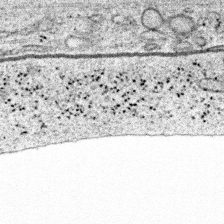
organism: Human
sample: HeLa cells